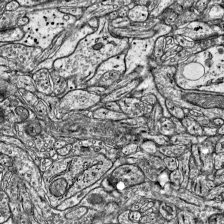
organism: Mouse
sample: Visual Cortex